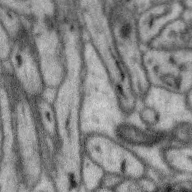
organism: Zebra finch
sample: Brain